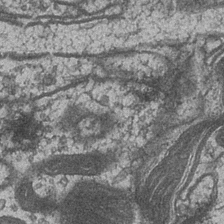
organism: Drosophila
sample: Optic medulla